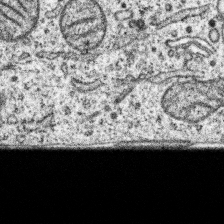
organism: Human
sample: HeLa cells